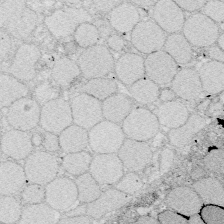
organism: Zebrafish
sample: Whole-Brain